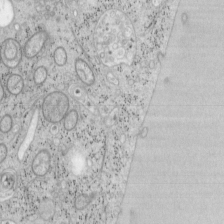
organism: Mouse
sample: OT-I killer T cells with ID8 ovarian cancer cells